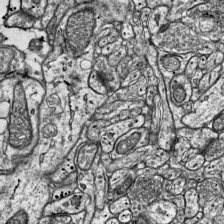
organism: Mouse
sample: Visual Cortex